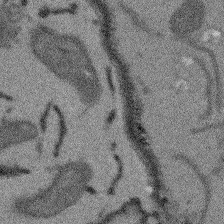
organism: Arabidopsis thaliana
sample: Root tip